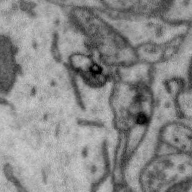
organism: Zebra finch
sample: Brain